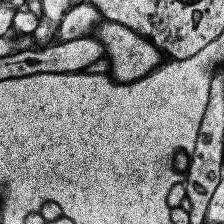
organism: Human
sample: Temporal Lobe